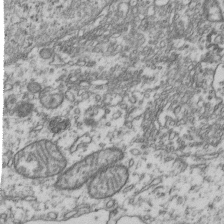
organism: Human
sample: Activated Jurkat CD4+ T cells